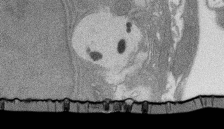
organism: Rat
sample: Salivary granule